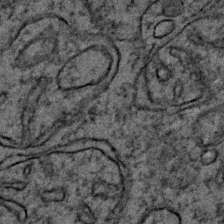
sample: Trachea